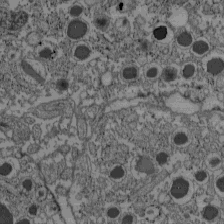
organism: C57BL Mouse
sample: Pancreatic islet